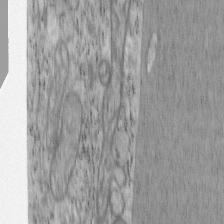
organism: Human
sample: HeLa cells